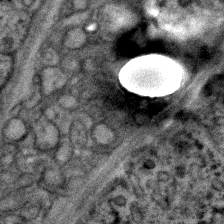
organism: C. elegans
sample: C. elegans embryo